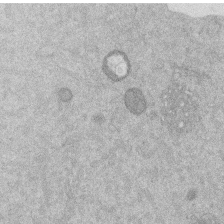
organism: Mouse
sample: Dividing mouse embryo 1 cell stage